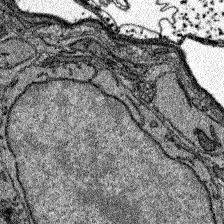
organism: Zebrafish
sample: Larval olfactory bulb